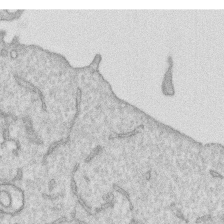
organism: Human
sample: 1205lu cells